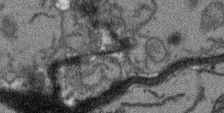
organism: Arabidopsis thaliana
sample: Root tip